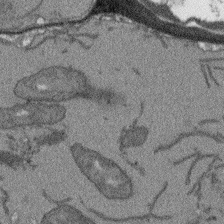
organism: Arabidopsis thaliana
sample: Root tip